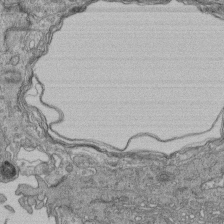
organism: Human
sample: Retinal organoid Rod and Cone cells